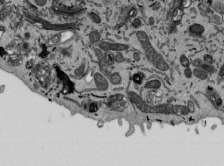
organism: Mouse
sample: ED-1 cell nuclei; centrioles